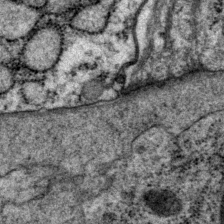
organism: P. pacificus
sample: Pharynx